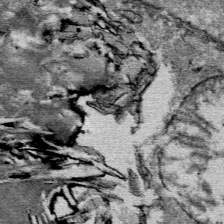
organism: Mouse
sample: Mouse Salivary gland